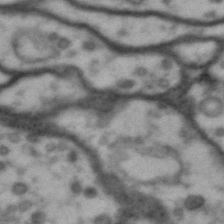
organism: Drosophila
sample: Brain